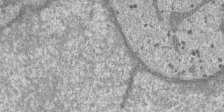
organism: Human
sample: Lung epithelial cells infected with SARS-CoV-2